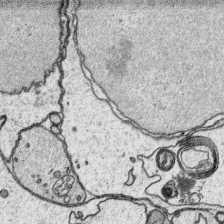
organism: Platynereis dumerilii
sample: Parapodia